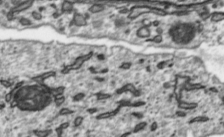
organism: Toxoplasma gondii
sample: Parasites in a vacuole inside a host cell